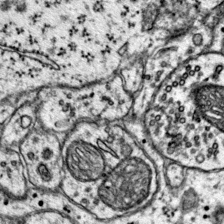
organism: Mouse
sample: Primary visual cortex